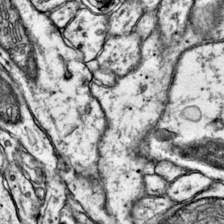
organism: Mouse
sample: Primary visual cortex